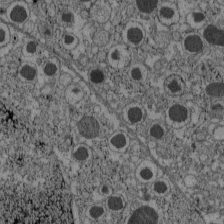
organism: C57BL Mouse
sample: Pancreatic islet